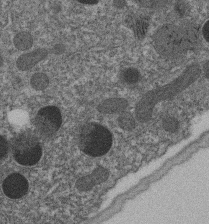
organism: C. elegans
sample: C. elegans embryo early stage